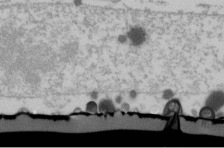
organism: Human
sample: U2-OS cells